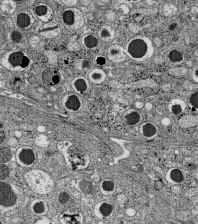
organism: C57BL Mouse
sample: Pancreatic islet